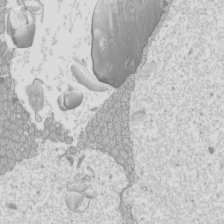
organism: Mouse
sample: Cilia; mouse epididymis